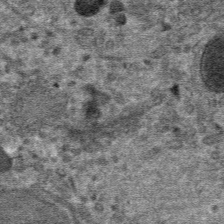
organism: Mouse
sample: Mouse hepatocytes